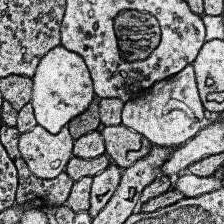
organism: Human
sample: Temporal Lobe